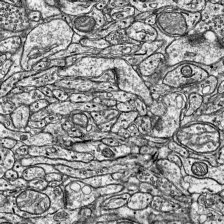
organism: Mouse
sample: Visual Cortex